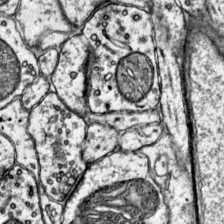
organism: Mouse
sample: Primary visual cortex